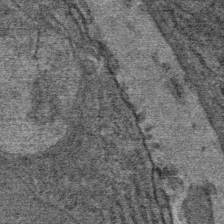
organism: Mouse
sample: Mouse Salivary gland